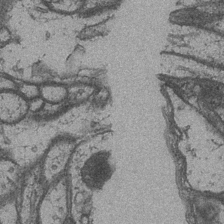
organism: Drosophila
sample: Optic medulla